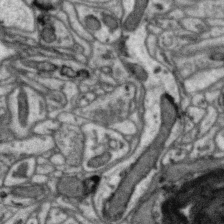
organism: Zebra finch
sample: Brain